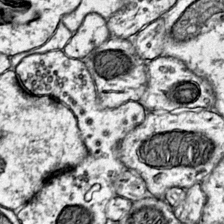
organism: Mouse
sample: Primary visual cortex